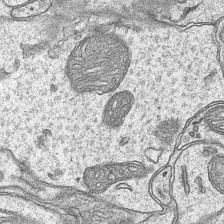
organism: Mouse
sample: CA1 Hippocampus